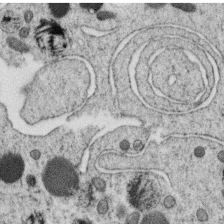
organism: C. elegans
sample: C. elegans oocyte; sperm cells